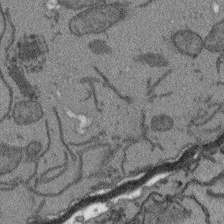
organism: Arabidopsis thaliana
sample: Root tip